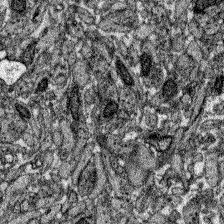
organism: Zebrafish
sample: Larval olfactory bulb